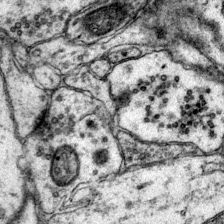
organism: Mouse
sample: Primary visual cortex